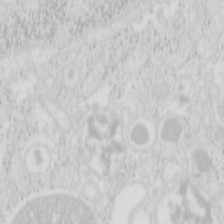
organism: Mouse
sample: Pancreas